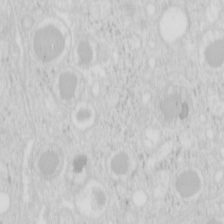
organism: Mouse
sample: Pancreas